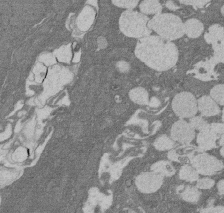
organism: Rat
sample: Salivary granule